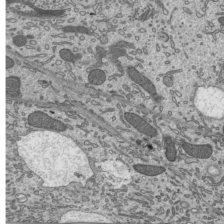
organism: Mouse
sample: Mouse epididymis efferent ductule cilia